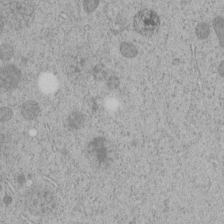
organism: C. elegans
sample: C. elegans embryo early stage